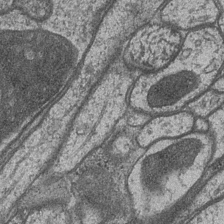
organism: Drosophila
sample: Optic medulla